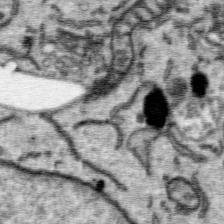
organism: Human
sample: HeLa cells